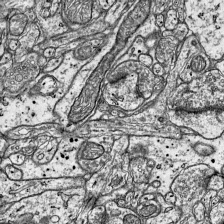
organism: Mouse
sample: Visual Cortex